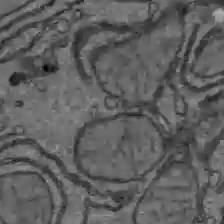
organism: C57BL Mouse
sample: Liver